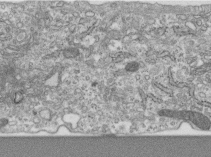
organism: Human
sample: Centriole in RPE cells